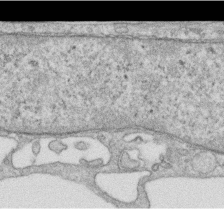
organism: Human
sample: Centriole in RPE cells